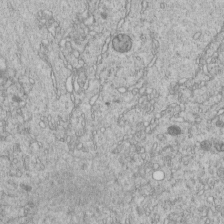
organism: C. elegans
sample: C. elegans embryo early stage